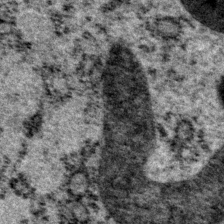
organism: P. pacificus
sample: Pharynx